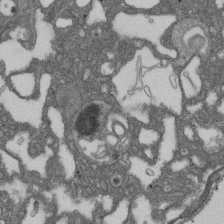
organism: Drosophila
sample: Nephrocyte